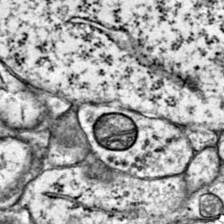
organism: Mouse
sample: Primary visual cortex